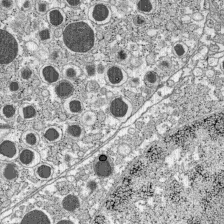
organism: C57BL Mouse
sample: Pancreatic islet